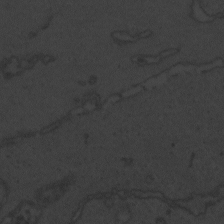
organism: Zebrafish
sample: Macrophage infected with Toxoplasma gondii